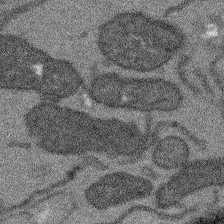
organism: Arabidopsis thaliana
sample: Root tip